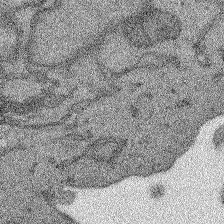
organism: Human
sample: HeLa cells